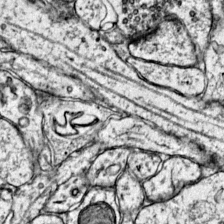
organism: Mouse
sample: Primary visual cortex